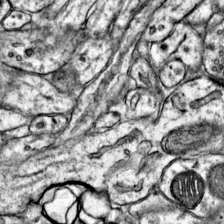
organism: Mouse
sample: Primary visual cortex